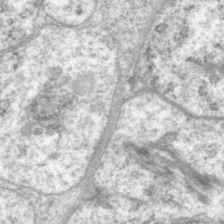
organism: P. pacificus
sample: Pharynx